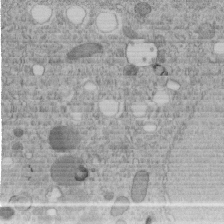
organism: C. elegans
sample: C. elegans embryo early stage